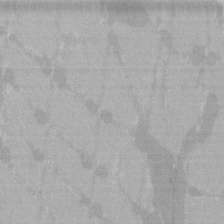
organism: C57BL Mouse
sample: Tibialis anterior muscle cell